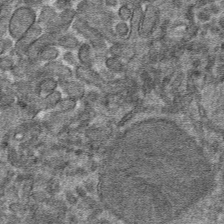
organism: Mouse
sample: Mouse hepatocytes